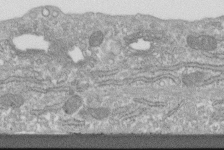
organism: Human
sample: Centriole in fibroblast cells